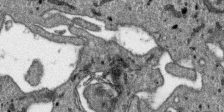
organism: Human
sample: Lung epithelial cells, uninfected (mock) control